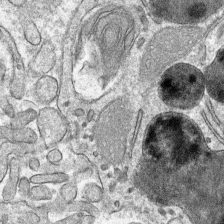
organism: Mouse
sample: Mouse hepatocytes